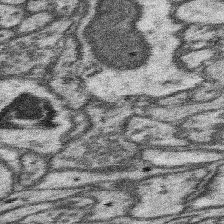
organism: Mouse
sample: Somatosensory cortex neuropil